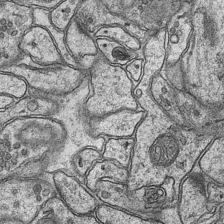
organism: Mouse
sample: CA1 Hippocampus